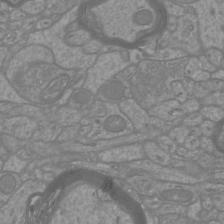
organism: Mouse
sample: Cortical neurons